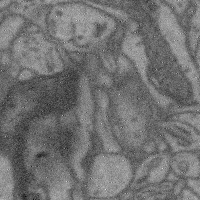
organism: Mouse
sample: Cerebral cortex